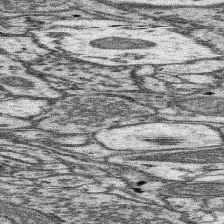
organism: Mouse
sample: Somatosensory cortex neuropil